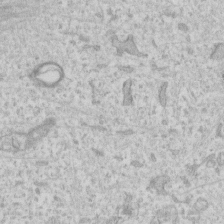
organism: Human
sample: Fibroblast cells